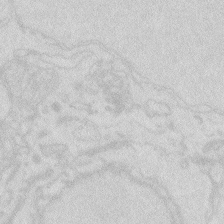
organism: Zebrafish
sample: Macrophage